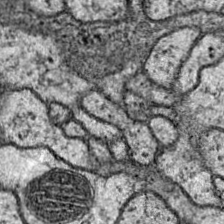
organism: Drosophila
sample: Ventral Nerve Cord